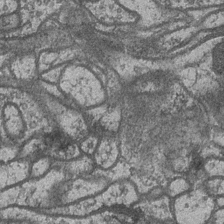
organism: Drosophila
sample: Optic medulla